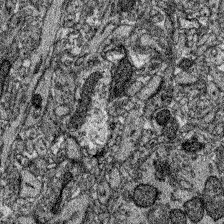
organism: Zebrafish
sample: Larval olfactory bulb